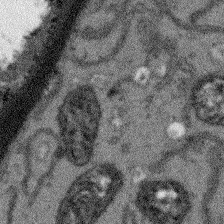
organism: Arabidopsis thaliana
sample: Root tip